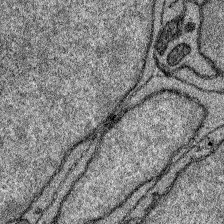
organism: Zebrafish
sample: Larval olfactory bulb